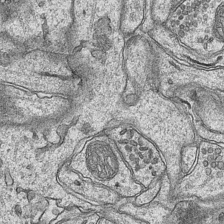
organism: Mouse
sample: CA1 Hippocampus